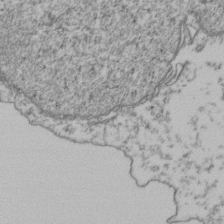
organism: Human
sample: Activated Jurkat CD4+ T cells